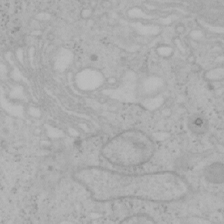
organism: Mouse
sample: OT-I killer T cells with ID8 ovarian cancer cells